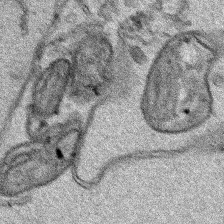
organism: Human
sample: Mitochondria in HCT116 cells